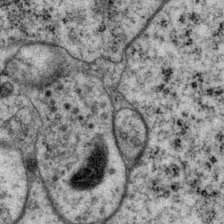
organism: P. pacificus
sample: Pharynx